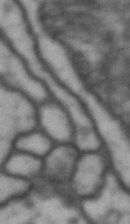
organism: Drosophila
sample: Brain